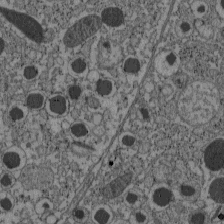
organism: C57BL Mouse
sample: Pancreatic islet